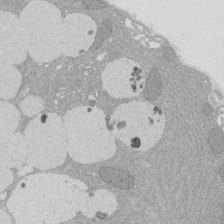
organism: Rat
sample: Salivary granule